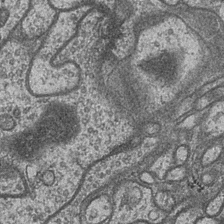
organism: Drosophila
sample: Optic medulla